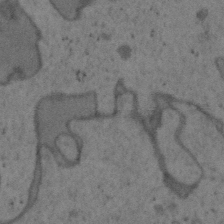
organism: Human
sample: HeLa cells